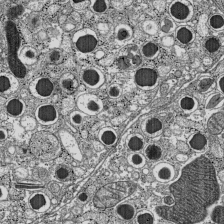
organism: C57BL Mouse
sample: Pancreatic islet